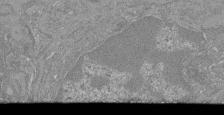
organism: Mouse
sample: Glomerulus